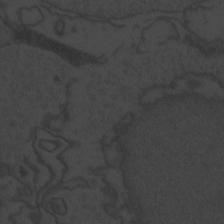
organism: Zebrafish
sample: Macrophage infected with Toxoplasma gondii